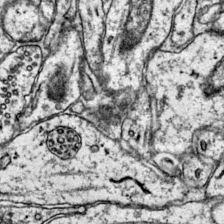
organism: Mouse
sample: Primary visual cortex